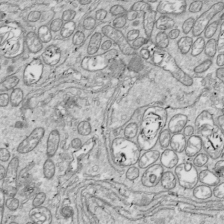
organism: Drosophila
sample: Cell division; meiosis; drosophila spermatocytes